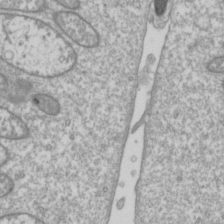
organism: Drosophila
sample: Cell division; meiosis; drosophila spermatocytes